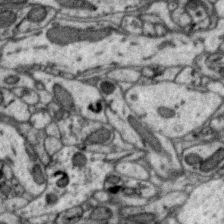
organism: Zebra finch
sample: Brain